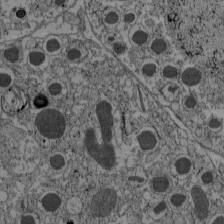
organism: C57BL Mouse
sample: Pancreatic islet